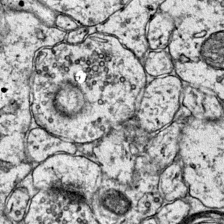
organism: Mouse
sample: Primary visual cortex